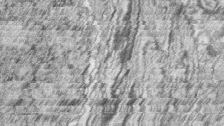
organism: Zebrafish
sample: synaptic ribbons in rod cells and cone cells